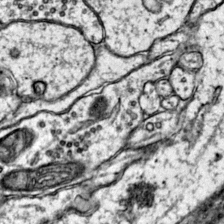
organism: Mouse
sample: Primary visual cortex